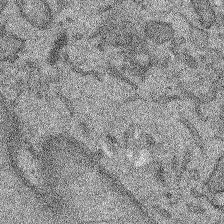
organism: Human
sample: HeLa cells